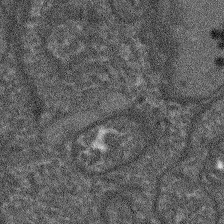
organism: Arabidopsis thaliana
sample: Root tip